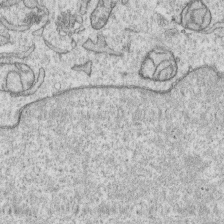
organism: Human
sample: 1205lu cells